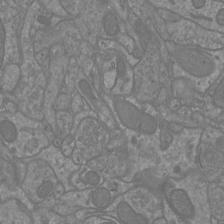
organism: Mouse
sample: Cortical neurons